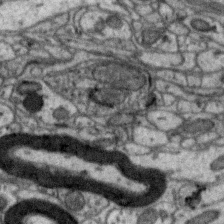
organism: Zebra finch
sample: Brain